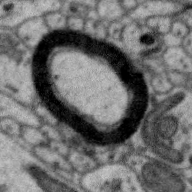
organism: Zebra finch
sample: Brain